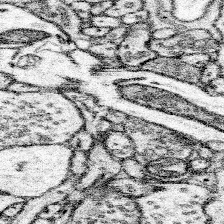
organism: Mouse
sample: Somatosensory cortex neuropil